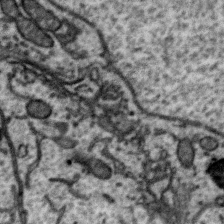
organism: Zebra finch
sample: Brain